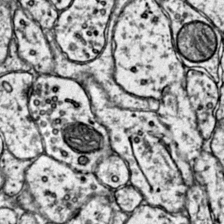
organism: Mouse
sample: Primary visual cortex